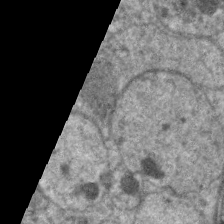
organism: C. elegans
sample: Pharynx